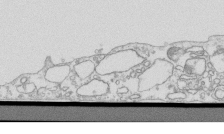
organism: Mouse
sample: Macrophages